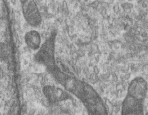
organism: Human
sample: Centriole in RPE cells